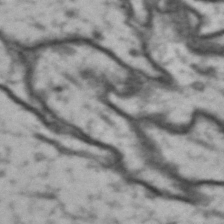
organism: Drosophila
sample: Brain